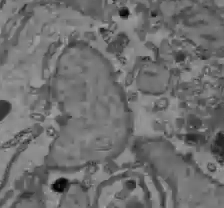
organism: C57BL Mouse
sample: Liver